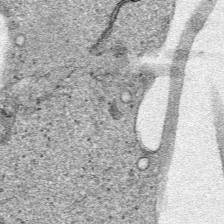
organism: Human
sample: Mitochondria in HCT116 cells